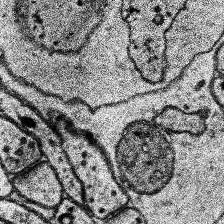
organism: Human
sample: Temporal Lobe